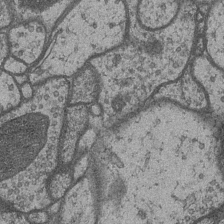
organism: Drosophila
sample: Optic medulla